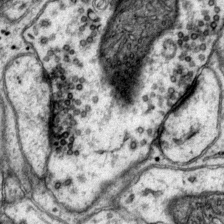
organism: Mouse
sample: Primary visual cortex